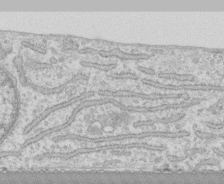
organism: Human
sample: CRL-1474